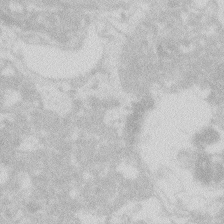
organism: Zebrafish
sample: Macrophage